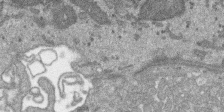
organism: Human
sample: Lung epithelial cells infected with SARS-CoV-2